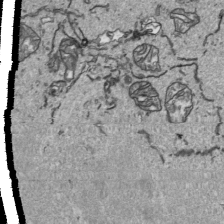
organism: Human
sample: Mitochondria in HCT116 cells